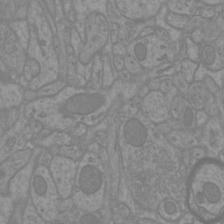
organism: Mouse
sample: Cortical neurons